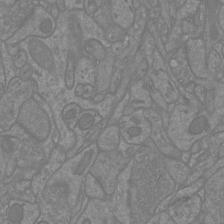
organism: Mouse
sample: Cortical neurons